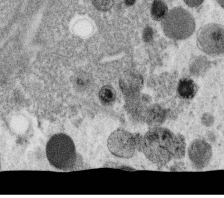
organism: C. elegans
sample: C. elegans oocyte; sperm cells